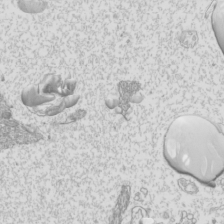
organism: Mouse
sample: Cilia; mouse epididymis